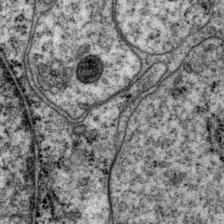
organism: P. pacificus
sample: Pharynx